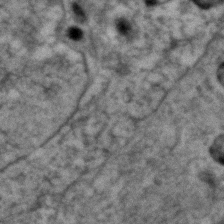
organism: Human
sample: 1205lu cells